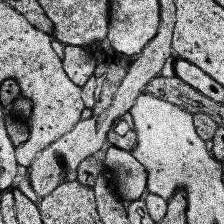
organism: Human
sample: Temporal Lobe